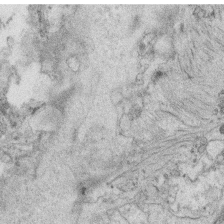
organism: C. elegans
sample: C. elegans oocyte; sperm cells